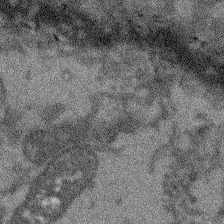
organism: Arabidopsis thaliana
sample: Root tip